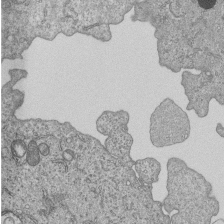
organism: Human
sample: MDA-MB-231 cells